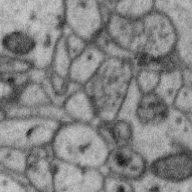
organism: Zebra finch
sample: Brain